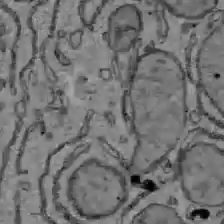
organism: C57BL Mouse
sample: Liver